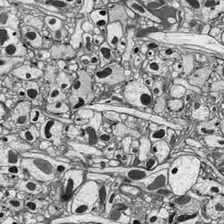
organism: Drosophila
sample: Optic lobe